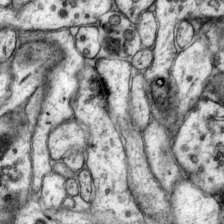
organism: Mouse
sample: Primary visual cortex